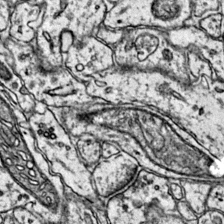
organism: Mouse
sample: Primary visual cortex